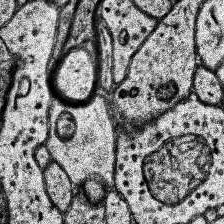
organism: Human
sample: Temporal Lobe